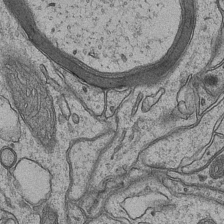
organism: Mouse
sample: CA1 Hippocampus